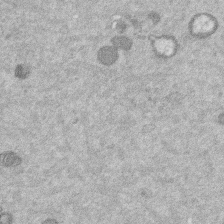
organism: Mouse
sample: Dividing mouse embryo 1 cell stage